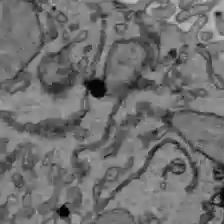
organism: C57BL Mouse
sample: Liver